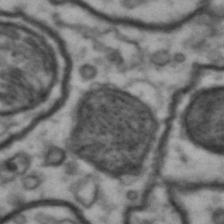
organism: Drosophila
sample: Brain